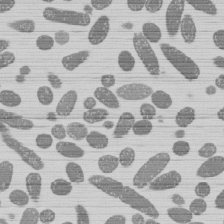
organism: E. coli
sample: Bacterial nucleoid